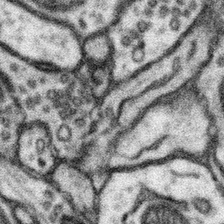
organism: Mouse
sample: Somatosensory cortex neuropil